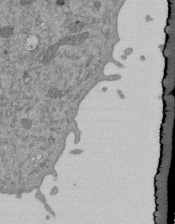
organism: Mouse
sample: ED-1 cell nuclei; centrioles